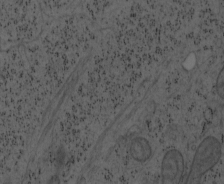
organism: Mouse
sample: OT-I killer T cells with ID8 ovarian cancer cells